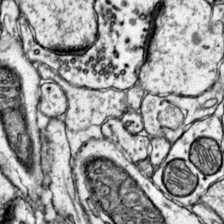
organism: Mouse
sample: Primary visual cortex